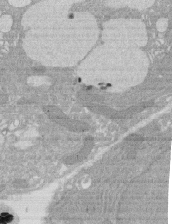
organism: Rat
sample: Salivary granule